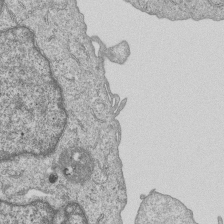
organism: Human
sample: MDA-MB-231 cells